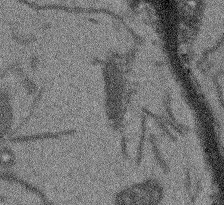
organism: Arabidopsis thaliana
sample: Root tip